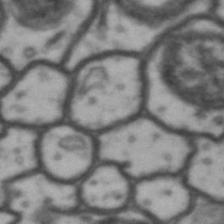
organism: Drosophila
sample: Brain